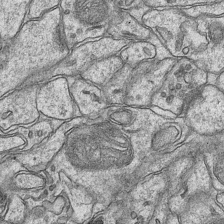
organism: Mouse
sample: CA1 Hippocampus